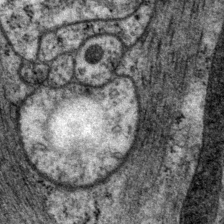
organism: P. pacificus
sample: Pharynx